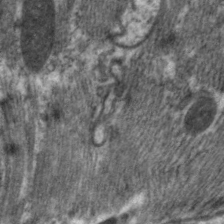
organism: C. elegans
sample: Pharynx